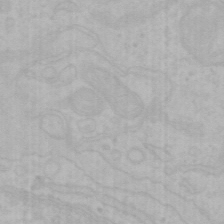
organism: Mouse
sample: Choroid plexus